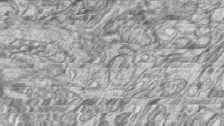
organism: Zebrafish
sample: synaptic ribbons in rod cells and cone cells